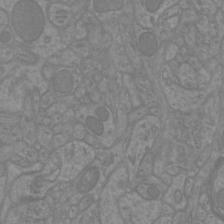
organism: Mouse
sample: Cortical neurons